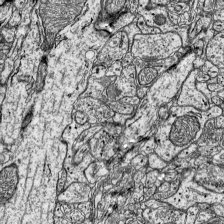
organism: Mouse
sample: Visual Cortex